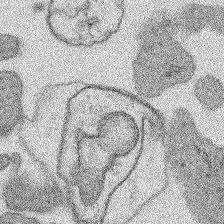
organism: Human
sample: HeLa cells